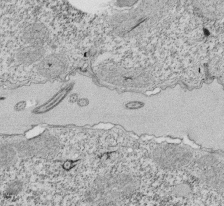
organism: Tetrahymena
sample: Cilia in tetrahymena